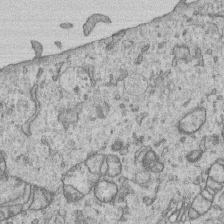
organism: Human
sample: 1205lu cells